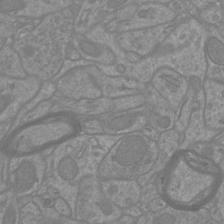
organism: Mouse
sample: Cortical neurons